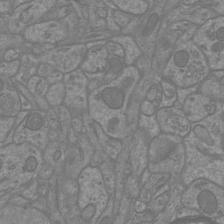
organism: Mouse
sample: Cortical neurons